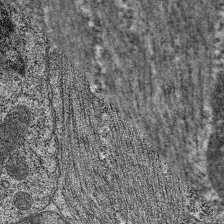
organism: C. elegans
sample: Pharynx